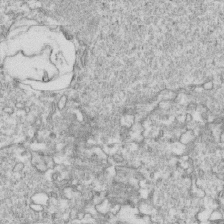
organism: Mouse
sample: Activated OT-1 CD8+ T cells